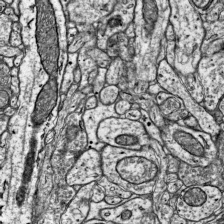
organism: Mouse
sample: Visual Cortex